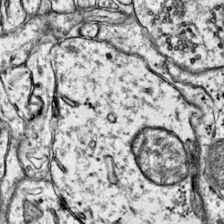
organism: Mouse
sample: Primary visual cortex